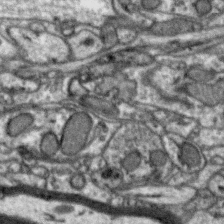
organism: Zebra finch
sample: Brain